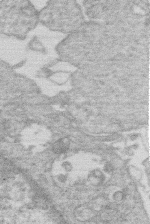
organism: Human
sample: Macrophage cells